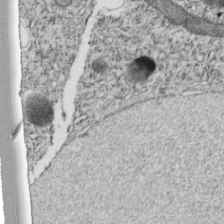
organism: C. elegans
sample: C. elegans embryo early stage